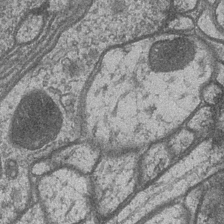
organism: Drosophila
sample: Optic medulla